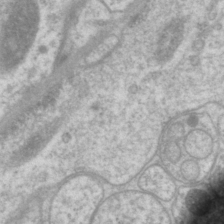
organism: P. pacificus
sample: Pharynx